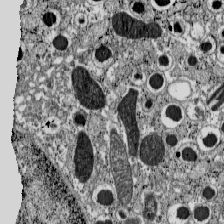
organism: C57BL Mouse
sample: Pancreatic islet